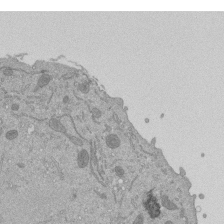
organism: Mouse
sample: ED-1 cell nuclei; centrioles